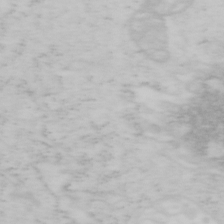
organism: Mouse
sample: OT-I killer T cells with ID8 ovarian cancer cells